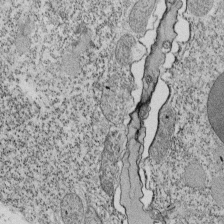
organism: Tetrahymena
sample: Cilia in tetrahymena